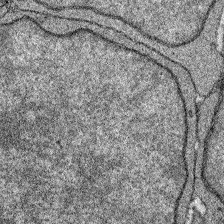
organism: Zebrafish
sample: Larval olfactory bulb